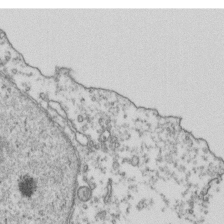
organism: Human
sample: Activated Jurkat CD4+ T cells